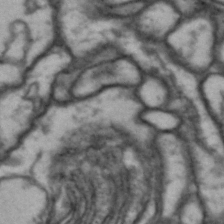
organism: Drosophila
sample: Brain